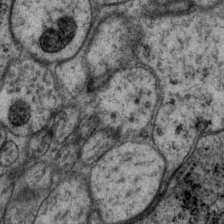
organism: P. pacificus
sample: Pharynx